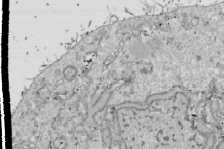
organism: Drosophila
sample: Cell division; meiosis; drosophila spermatocytes